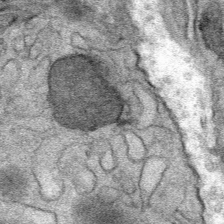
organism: Mouse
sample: Mouse Salivary gland